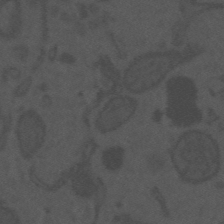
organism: Mouse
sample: Suprachiasmatic nucleus